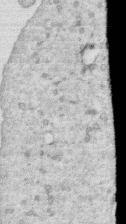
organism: Human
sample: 1205lu cells